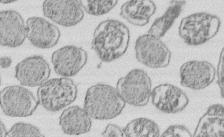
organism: E. coli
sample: Bacterial nucleoid